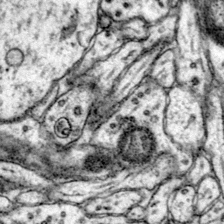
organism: Mouse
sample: Primary visual cortex